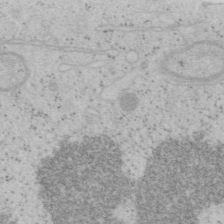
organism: Human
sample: HeLa cells